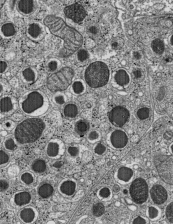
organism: C57BL Mouse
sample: Pancreatic islet